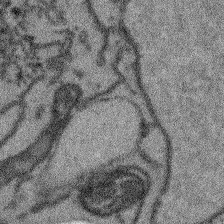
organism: Arabidopsis thaliana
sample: Root tip